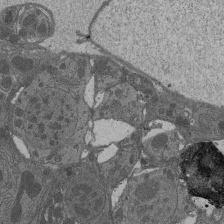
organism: Drosophila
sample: Antenna